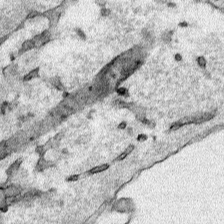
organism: Human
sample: Mitochondria in HCT116 cells